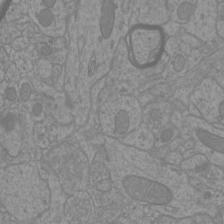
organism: Mouse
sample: Cortical neurons